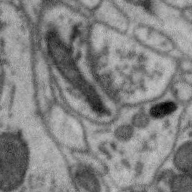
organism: Zebra finch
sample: Brain